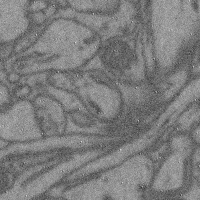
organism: Mouse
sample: Cerebral cortex